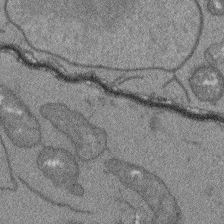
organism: Arabidopsis thaliana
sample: Root tip